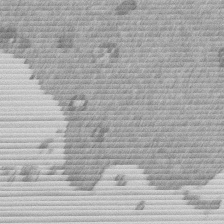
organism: Mouse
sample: Dividing mouse embryo 1 cell stage